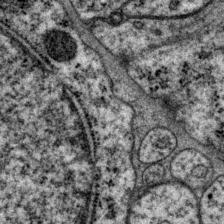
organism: P. pacificus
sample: Pharynx